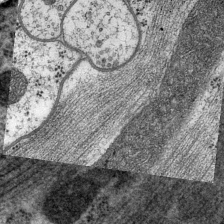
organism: P. pacificus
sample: Pharynx